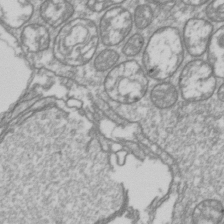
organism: Drosophila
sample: Cell division; meiosis; drosophila spermatocytes